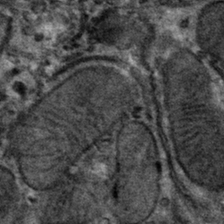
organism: Mouse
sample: Mouse hepatocytes